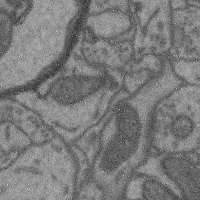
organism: Mouse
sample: Cerebral cortex